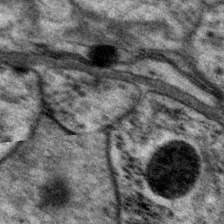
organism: P. pacificus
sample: Pharynx